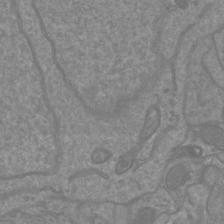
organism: Mouse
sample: Cortical neurons